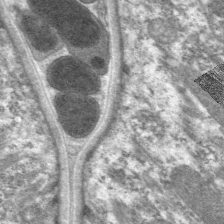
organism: C. elegans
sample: Pharynx